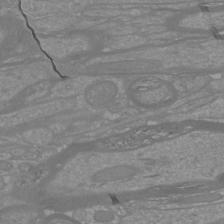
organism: Mouse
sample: Cortical neurons